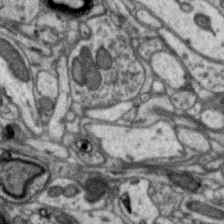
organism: Zebra finch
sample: Brain